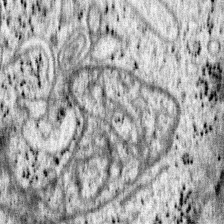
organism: Human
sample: HeLa cells